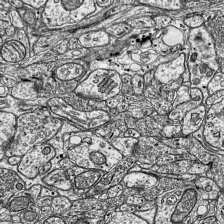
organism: Mouse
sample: Visual Cortex